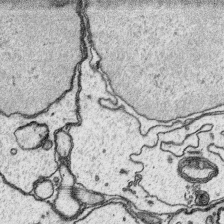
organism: Platynereis dumerilii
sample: Parapodia